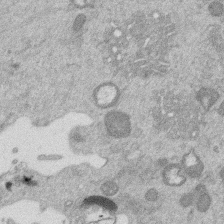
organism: Mouse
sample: Dividing mouse embryo 1 cell stage